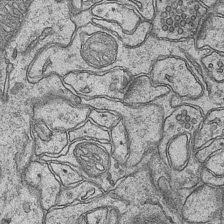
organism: Mouse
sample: CA1 Hippocampus